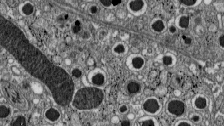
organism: C57BL Mouse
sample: Pancreatic islet